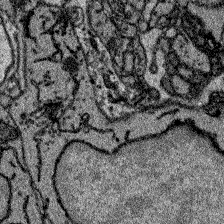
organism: Zebrafish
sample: Larval olfactory bulb